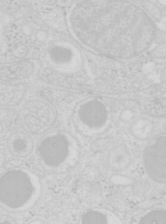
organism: Mouse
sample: Pancreas